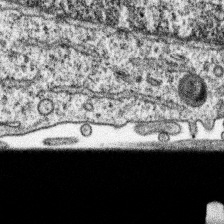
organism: Human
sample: HeLa cells